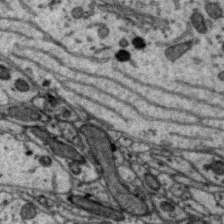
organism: Zebra finch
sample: Brain